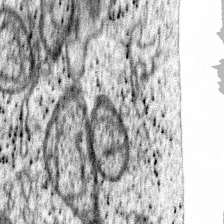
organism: Human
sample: HeLa cells